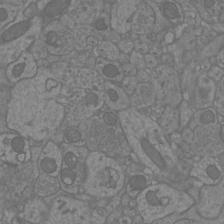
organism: Mouse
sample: Cortical neurons